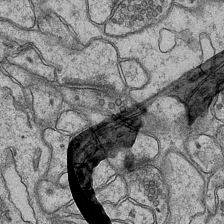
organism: Mouse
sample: CA1 Hippocampus